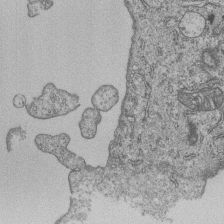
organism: Human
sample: MDA-MB-231 cells